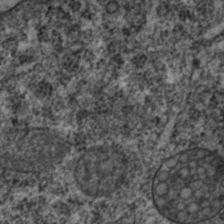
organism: C. elegans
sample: C. elegans embryo